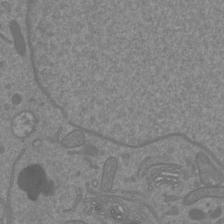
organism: Mouse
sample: Cortical neurons